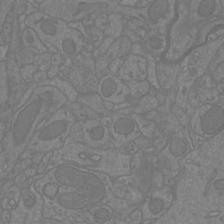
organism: Mouse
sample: Cortical neurons